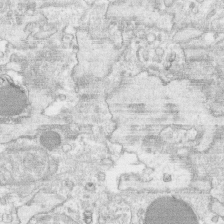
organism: Human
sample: CRL-1474